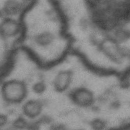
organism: Drosophila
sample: Brain